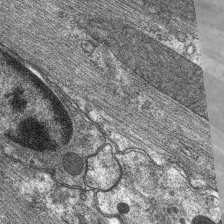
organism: C. elegans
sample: Pharynx